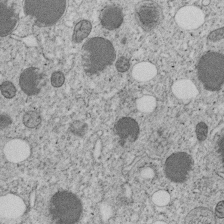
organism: C. elegans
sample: C. elegans embryo early stage